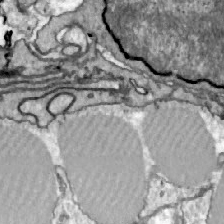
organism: Zebrafish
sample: Actinotrichia fibers